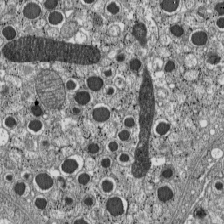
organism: C57BL Mouse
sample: Pancreatic islet